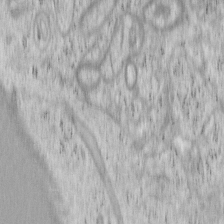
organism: Human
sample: HeLa cells